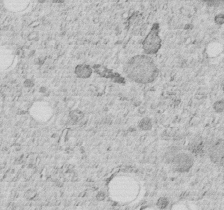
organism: C. elegans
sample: C. elegans embryo early stage